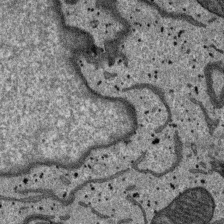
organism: Human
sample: Lung epithelial cells, uninfected (mock) control